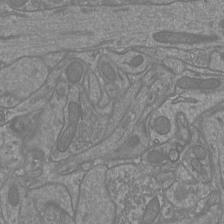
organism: Mouse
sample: Cortical neurons